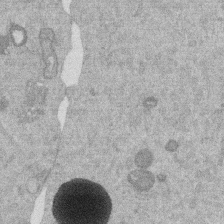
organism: Mouse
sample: Dividing mouse embryo 1 cell stage